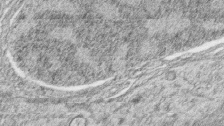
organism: Zebrafish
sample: synaptic ribbons in rod cells and cone cells